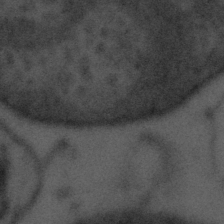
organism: Tuwongella immobilis